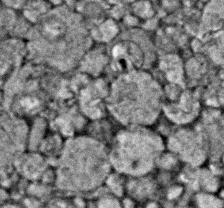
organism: Zebrafish